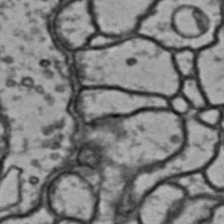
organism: Drosophila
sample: Brain